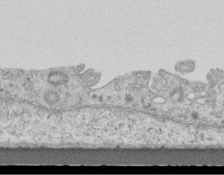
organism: Mouse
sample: Centriole in ependymal cells